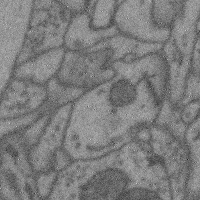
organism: Mouse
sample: Cerebral cortex